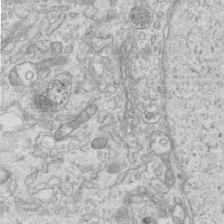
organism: Mouse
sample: Centriole in ependymal cells